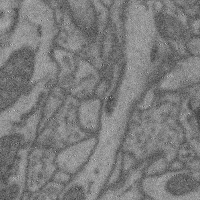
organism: Mouse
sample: Cerebral cortex